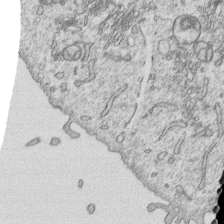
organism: Human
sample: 1205lu cells